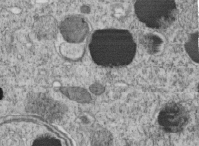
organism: C. elegans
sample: C. elegans embryo early stage